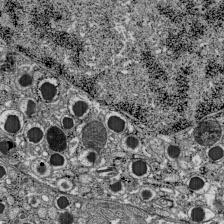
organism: C57BL Mouse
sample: Pancreatic islet